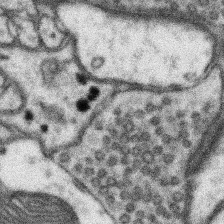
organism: Mouse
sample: Somatosensory cortex neuropil